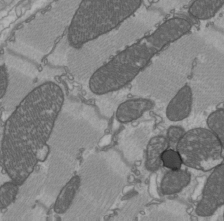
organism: C57BL Mouse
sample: Heart